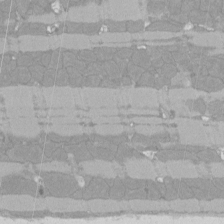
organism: Rat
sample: Left ventricle